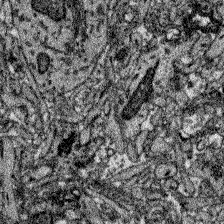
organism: Zebrafish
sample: Larval olfactory bulb